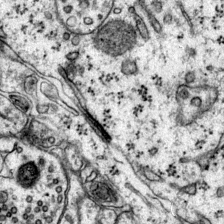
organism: Mouse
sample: Primary visual cortex